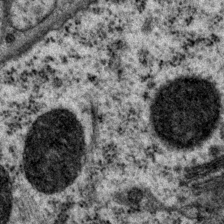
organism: P. pacificus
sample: Pharynx